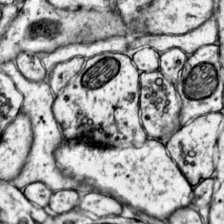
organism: Mouse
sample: Primary visual cortex